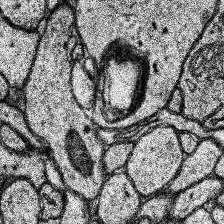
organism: Human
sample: Temporal Lobe